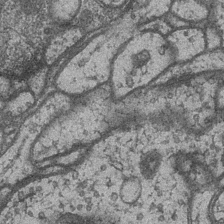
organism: Drosophila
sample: Optic medulla